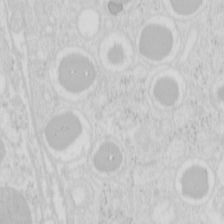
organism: Mouse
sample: Pancreas